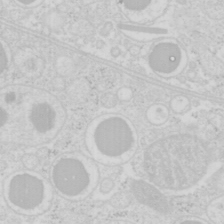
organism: Mouse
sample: Pancreas